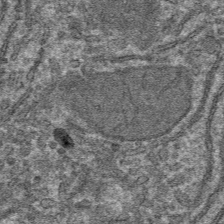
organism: Mouse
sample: Mouse hepatocytes